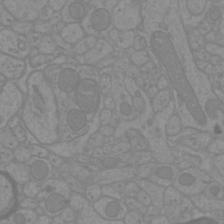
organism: Mouse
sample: Cortical neurons